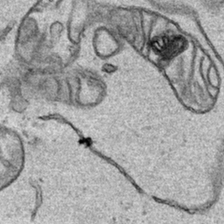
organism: Human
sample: Mitochondria in HCT116 cells